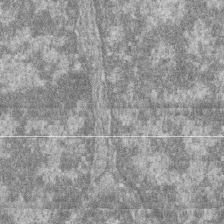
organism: Zebrafish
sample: Cilia; retinal pigment epithelium